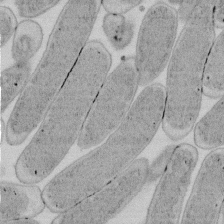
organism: E. coli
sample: Bacterial nucleoid